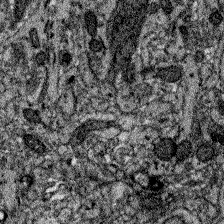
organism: Zebrafish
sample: Larval olfactory bulb